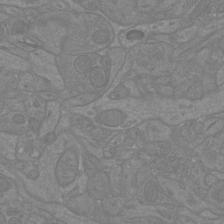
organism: Mouse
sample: Cortical neurons